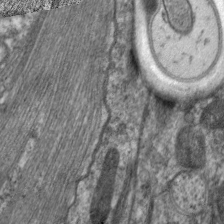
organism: C. elegans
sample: Pharynx